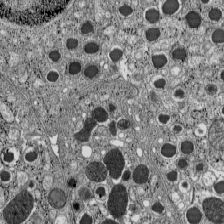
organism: C57BL Mouse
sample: Pancreatic islet